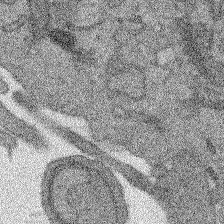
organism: Human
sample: HeLa cells